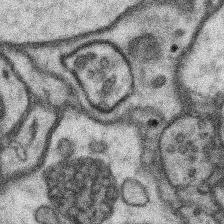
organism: Mouse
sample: Somatosensory cortex neuropil